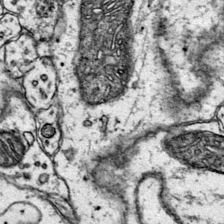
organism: Mouse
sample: Primary visual cortex